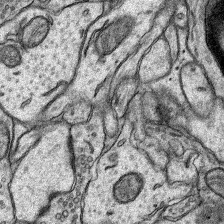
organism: Rat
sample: Hippocampus